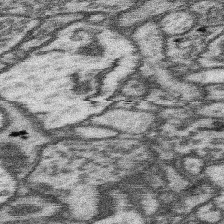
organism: Mouse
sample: Somatosensory cortex neuropil